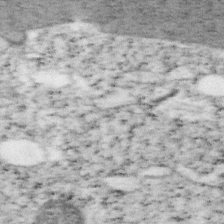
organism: Mouse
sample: OT-I killer T cells with ID8 ovarian cancer cells